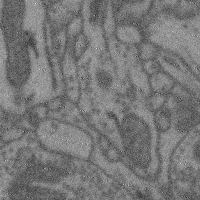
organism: Mouse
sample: Cerebral cortex